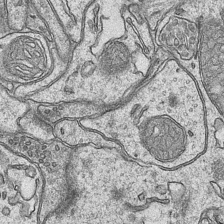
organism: Mouse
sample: CA1 Hippocampus